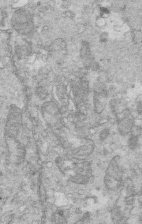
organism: Mouse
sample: Multiciliated cells